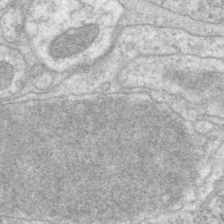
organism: P. pacificus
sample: Pharynx